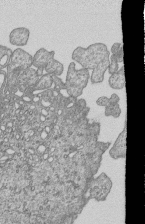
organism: Human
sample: MDA-MB-231 cells